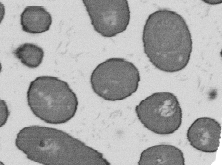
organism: B. subtilis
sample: Bacterial spore